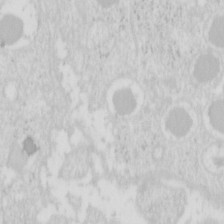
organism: Mouse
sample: Pancreas